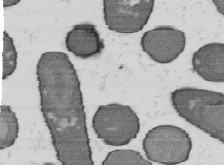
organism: B. subtilis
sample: Bacterial spore